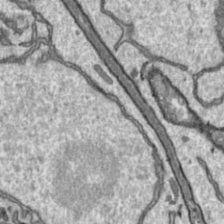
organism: Toxoplasma gondii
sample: Parasites in a vacuole inside a host cell